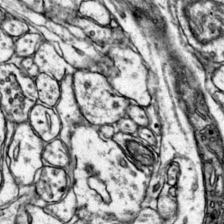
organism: Mouse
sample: Primary visual cortex